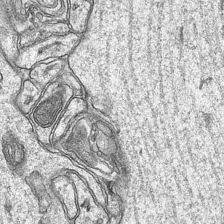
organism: Mouse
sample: CA1 Hippocampus